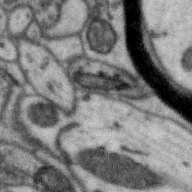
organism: Zebra finch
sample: Brain